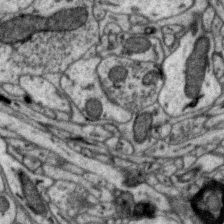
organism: Zebra finch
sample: Brain